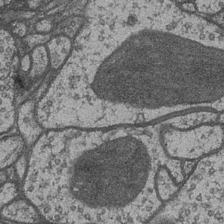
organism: Drosophila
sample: Optic medulla